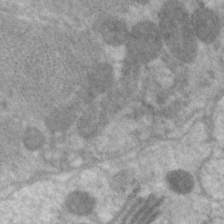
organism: C. elegans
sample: Pharynx